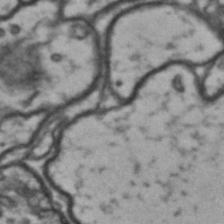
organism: Drosophila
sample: Brain